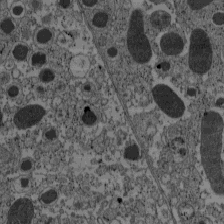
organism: C57BL Mouse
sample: Pancreatic islet